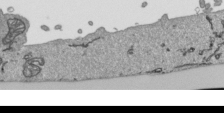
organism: Human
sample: Mitochondria in HCT116 cells